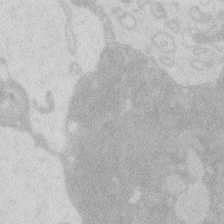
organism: Zebrafish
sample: Macrophage